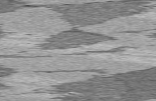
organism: C57BL Mouse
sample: Heart